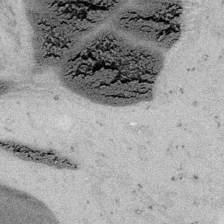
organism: Embia sp.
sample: Silk gland